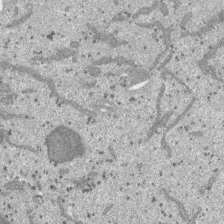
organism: Human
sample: Lung epithelial cells infected with SARS-CoV-2